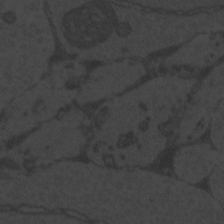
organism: Zebrafish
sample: Macrophage infected with Toxoplasma gondii